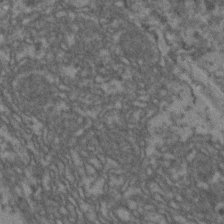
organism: Zebrafish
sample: Zebrafish embryo